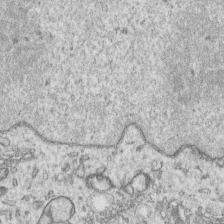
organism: Human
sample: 1205lu cells